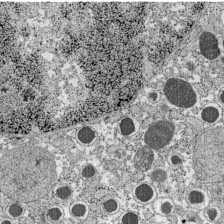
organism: C57BL Mouse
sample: Pancreatic islet